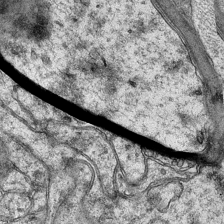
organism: Mouse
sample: CA1 Hippocampus